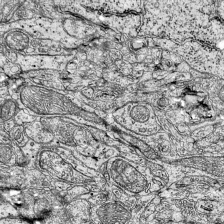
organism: Mouse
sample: Visual Cortex